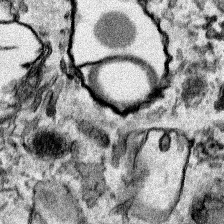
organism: Human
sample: Mitochondria in HCT116 cells